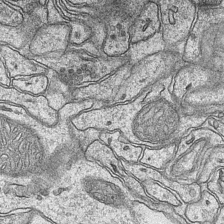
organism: Mouse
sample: CA1 Hippocampus